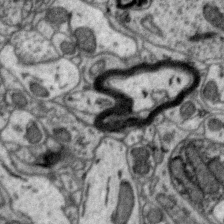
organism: Zebra finch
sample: Brain